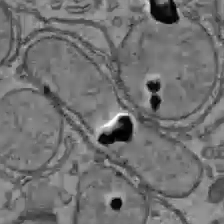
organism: C57BL Mouse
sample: Liver